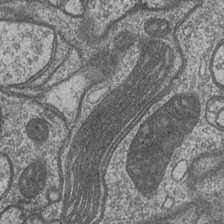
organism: Drosophila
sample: Optic medulla